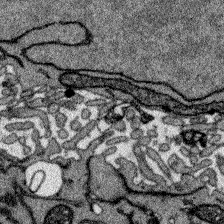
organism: Zebrafish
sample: Larval olfactory bulb